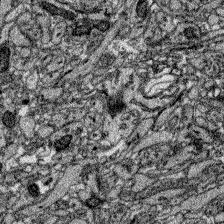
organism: Zebrafish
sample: Larval olfactory bulb